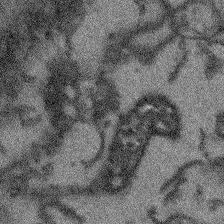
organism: Arabidopsis thaliana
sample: Root tip